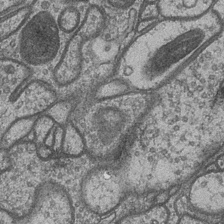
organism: Drosophila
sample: Optic medulla